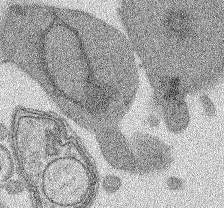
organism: Human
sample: HeLa cells